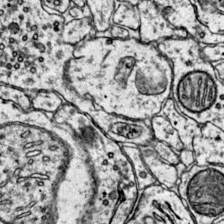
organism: Mouse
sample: Primary visual cortex